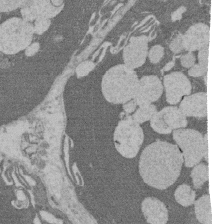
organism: Rat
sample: Salivary granule